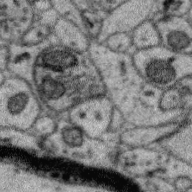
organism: Zebra finch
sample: Brain